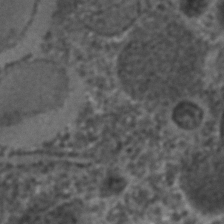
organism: C. elegans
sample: C. elegans embryo